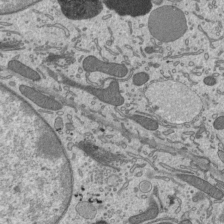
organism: Mouse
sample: Mouse epididymis efferent ductule cilia